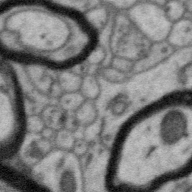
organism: Zebra finch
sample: Brain